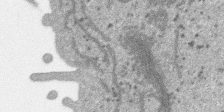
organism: Human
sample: Lung epithelial cells infected with SARS-CoV-2